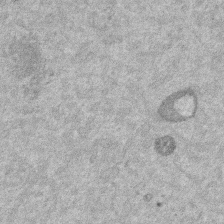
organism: Mouse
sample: Dividing mouse embryo 1 cell stage